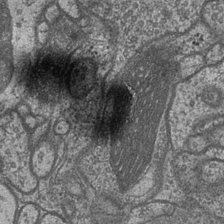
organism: Drosophila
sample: Optic medulla